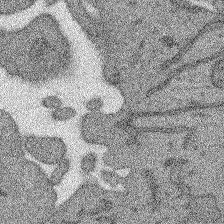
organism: Human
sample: HeLa cells